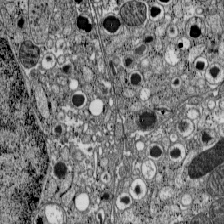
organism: C57BL Mouse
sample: Pancreatic islet